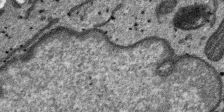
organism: Human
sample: Lung epithelial cells, uninfected (mock) control